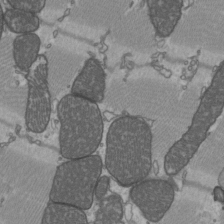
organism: C57BL Mouse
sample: Heart